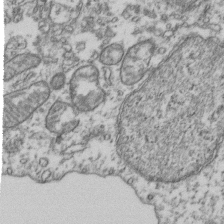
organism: Human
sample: Activated Jurkat CD4+ T cells